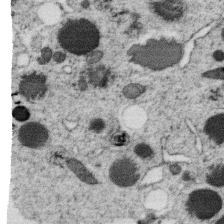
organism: C. elegans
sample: C. elegans oocyte; sperm cells